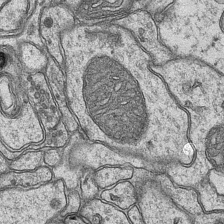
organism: Mouse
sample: CA1 Hippocampus